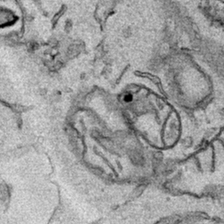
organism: Human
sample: Mitochondria in HCT116 cells